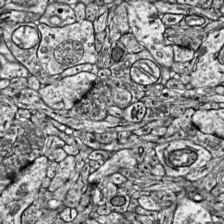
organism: Mouse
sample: Visual Cortex